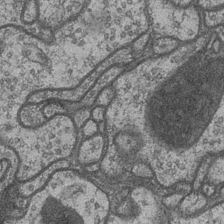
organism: Drosophila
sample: Optic medulla